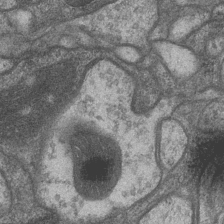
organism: Drosophila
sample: Optic medulla